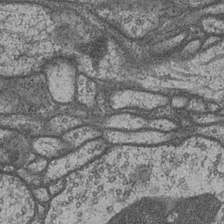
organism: Drosophila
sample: Optic medulla